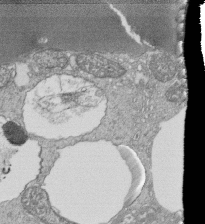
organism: Tetrahymena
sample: Cilia in tetrahymena